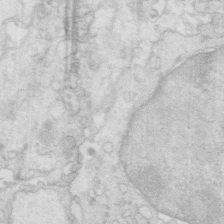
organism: Mouse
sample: Multiciliated cells